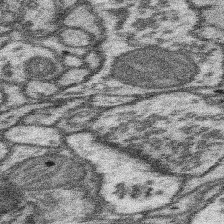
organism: Mouse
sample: Somatosensory cortex neuropil